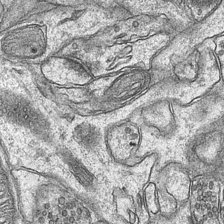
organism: Mouse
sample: CA1 Hippocampus